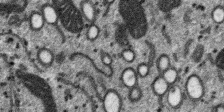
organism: Human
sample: Lung epithelial cells infected with SARS-CoV-2